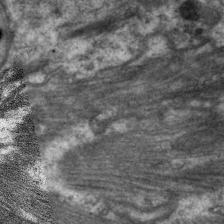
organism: C. elegans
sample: Pharynx